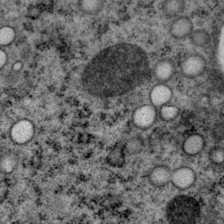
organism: P. pacificus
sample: Pharynx